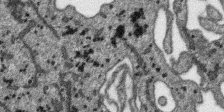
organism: Human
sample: Lung epithelial cells infected with SARS-CoV-2